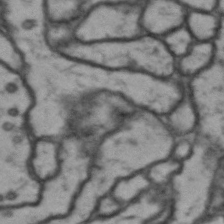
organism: Drosophila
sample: Brain